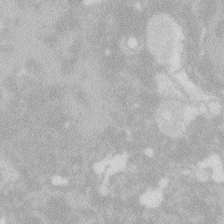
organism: Zebrafish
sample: Macrophage